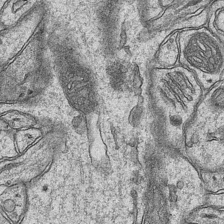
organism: Mouse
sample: CA1 Hippocampus